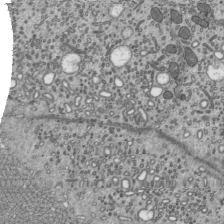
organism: Mouse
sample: Mouse epididymis efferent ductule cilia